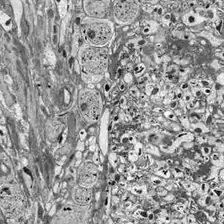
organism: Drosophila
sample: Optic lobe